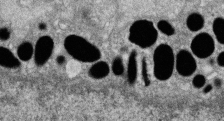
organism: Zebrafish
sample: Cilia; retinal pigment epithelium